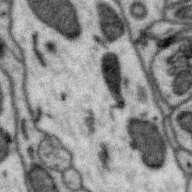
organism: Zebra finch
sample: Brain